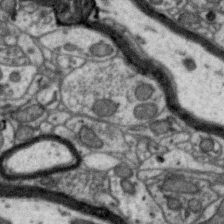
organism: Zebra finch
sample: Brain